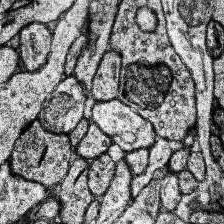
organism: Human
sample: Temporal Lobe